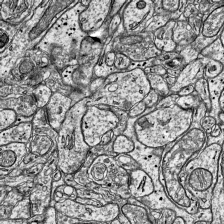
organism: Mouse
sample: Visual Cortex